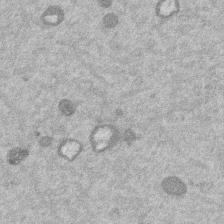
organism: Mouse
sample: Dividing mouse embryo 1 cell stage